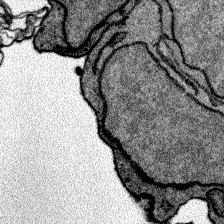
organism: Zebrafish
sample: Larval olfactory bulb